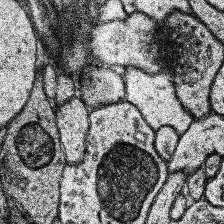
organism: Human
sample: Temporal Lobe